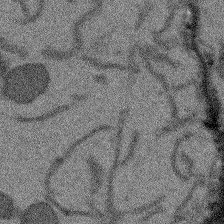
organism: Arabidopsis thaliana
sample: Root tip